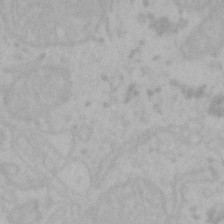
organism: Mouse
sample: Choroid plexus